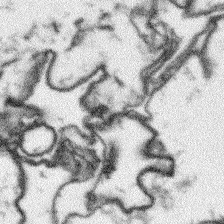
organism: Arabidopsis thaliana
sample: Root tip